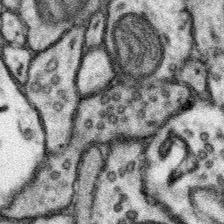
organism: Mouse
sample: Somatosensory cortex neuropil